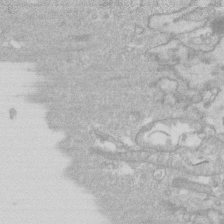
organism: Human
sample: Fibroblast cells